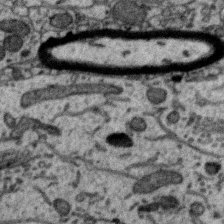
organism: Zebra finch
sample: Brain